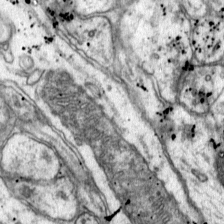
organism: Mouse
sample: Primary visual cortex